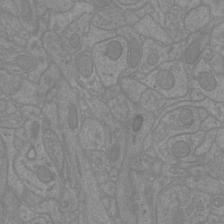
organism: Mouse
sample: Cortical neurons